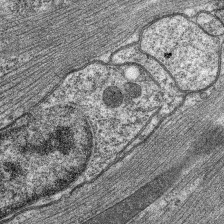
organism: C. elegans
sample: Pharynx